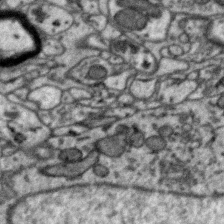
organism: Zebra finch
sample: Brain